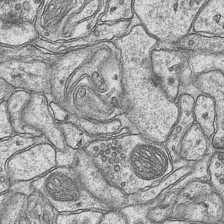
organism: Mouse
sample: CA1 Hippocampus